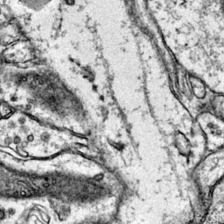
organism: Mouse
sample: Primary visual cortex